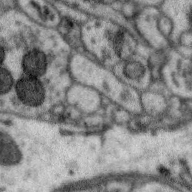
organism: Zebra finch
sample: Brain